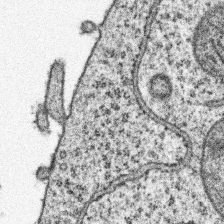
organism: Human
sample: HeLa cells